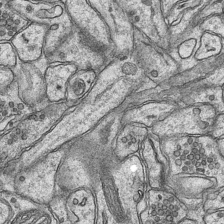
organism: Mouse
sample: CA1 Hippocampus